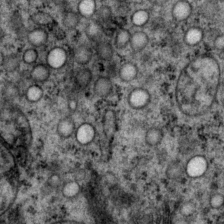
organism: P. pacificus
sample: Pharynx